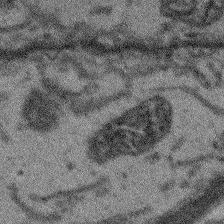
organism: Arabidopsis thaliana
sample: Root tip